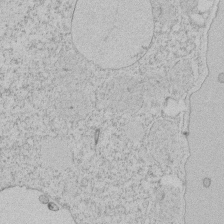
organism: Tetrahymena